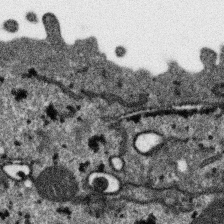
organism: Human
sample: Lung epithelial cells infected with SARS-CoV-2